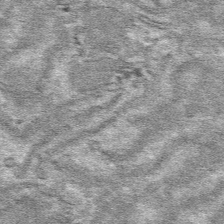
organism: Mouse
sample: Mouse hepatocytes